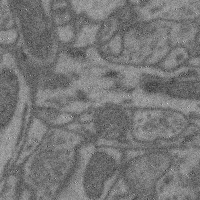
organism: Mouse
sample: Cerebral cortex